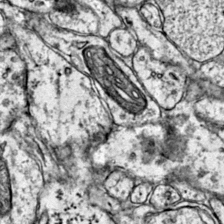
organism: Mouse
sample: Primary visual cortex